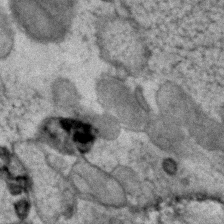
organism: Human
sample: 1205lu cells